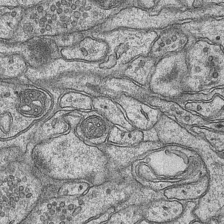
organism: Mouse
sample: CA1 Hippocampus